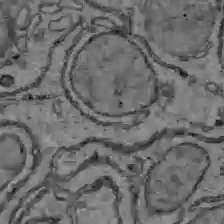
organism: C57BL Mouse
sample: Liver